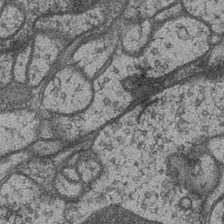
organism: Drosophila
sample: Optic medulla